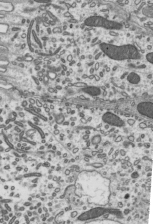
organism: Mouse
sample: Mouse epididymis efferent ductule cilia